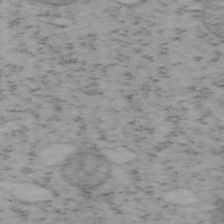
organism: Mouse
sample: OT-I killer T cells with ID8 ovarian cancer cells